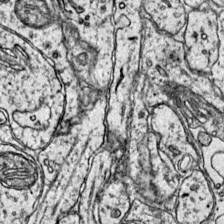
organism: Mouse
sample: Primary visual cortex